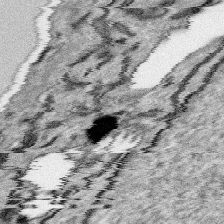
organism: Human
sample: HeLa cells